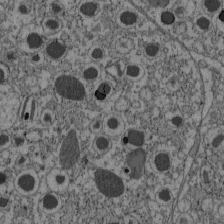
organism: C57BL Mouse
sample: Pancreatic islet